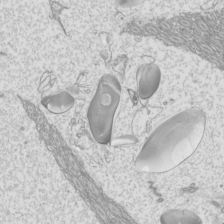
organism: Mouse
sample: Cilia; mouse epididymis